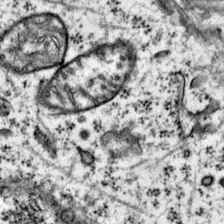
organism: Mouse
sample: Primary visual cortex